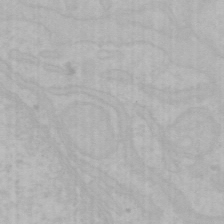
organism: Mouse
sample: Choroid plexus